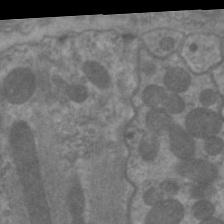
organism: C. elegans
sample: Pharynx